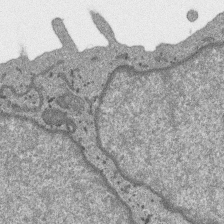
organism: Human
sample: Lung epithelial cells infected with SARS-CoV-2